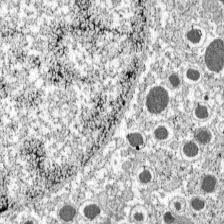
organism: C57BL Mouse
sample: Pancreatic islet